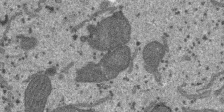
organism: Human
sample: Lung epithelial cells infected with SARS-CoV-2